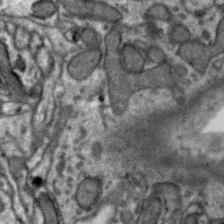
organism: Zebra finch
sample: Brain